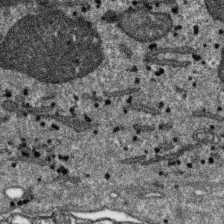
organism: Human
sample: Lung epithelial cells infected with SARS-CoV-2